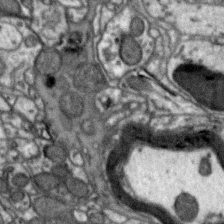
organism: Zebra finch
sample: Brain